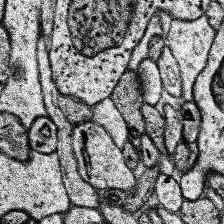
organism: Human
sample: Temporal Lobe